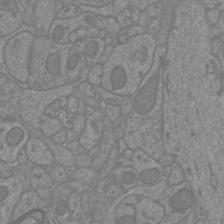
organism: Mouse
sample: Cortical neurons